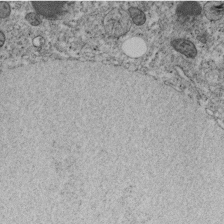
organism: C. elegans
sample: C. elegans embryo early stage